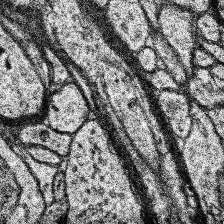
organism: Human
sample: Temporal Lobe